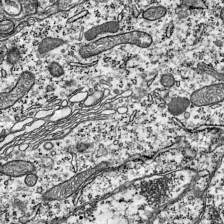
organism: Mouse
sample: Visual Cortex